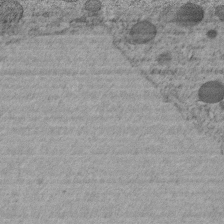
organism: C. elegans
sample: C. elegans embryo early stage